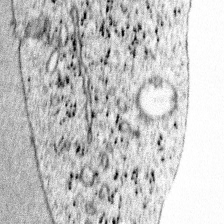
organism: Human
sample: HeLa cells